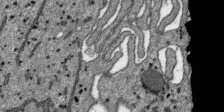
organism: Human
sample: Lung epithelial cells, uninfected (mock) control